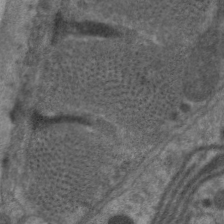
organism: C. elegans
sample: Pharynx